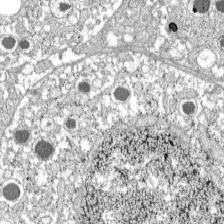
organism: C57BL Mouse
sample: Pancreatic islet